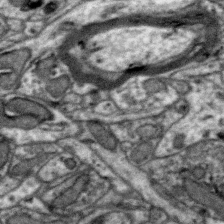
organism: Zebra finch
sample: Brain